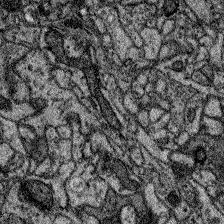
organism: Zebrafish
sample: Larval olfactory bulb